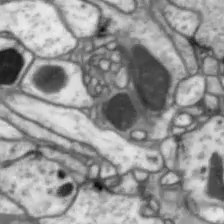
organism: Drosophila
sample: Optic lobe